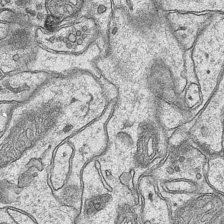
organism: Mouse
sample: CA1 Hippocampus